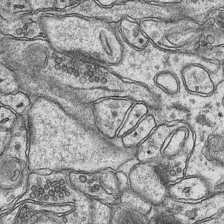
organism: Mouse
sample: CA1 Hippocampus